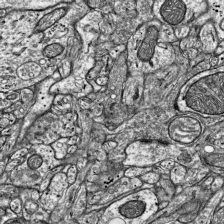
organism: Mouse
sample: Visual Cortex